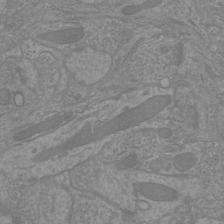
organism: Mouse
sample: Cortical neurons